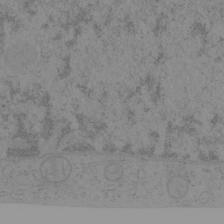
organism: Human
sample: HeLa cells